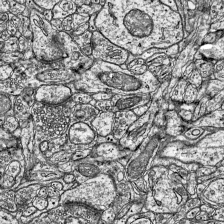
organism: Mouse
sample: Visual Cortex